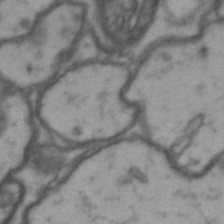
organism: Drosophila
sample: Brain